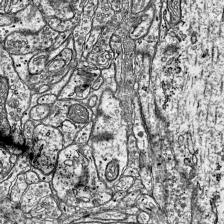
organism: Mouse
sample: Visual Cortex